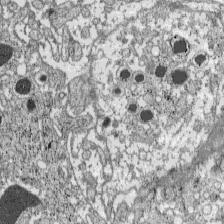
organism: C57BL Mouse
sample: Pancreatic islet